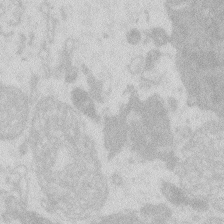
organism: Zebrafish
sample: Macrophage